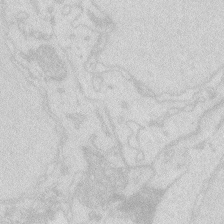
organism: Zebrafish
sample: Macrophage